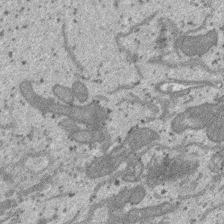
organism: Human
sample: Lung epithelial cells infected with SARS-CoV-2